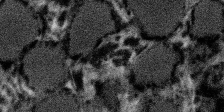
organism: Human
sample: Lung epithelial cells infected with SARS-CoV-2